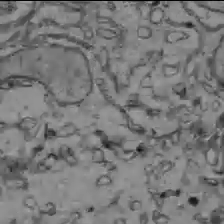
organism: C57BL Mouse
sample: Liver